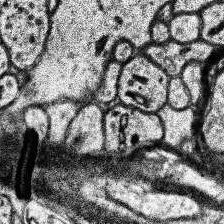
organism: Human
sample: Temporal Lobe